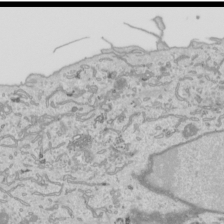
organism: Human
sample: Mitochondria in HCT116 cells